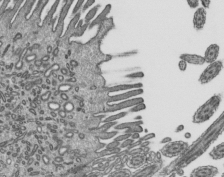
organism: Mouse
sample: Mouse epididymis efferent ductule cilia